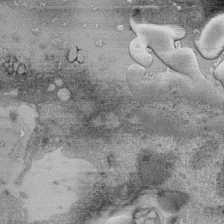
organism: Human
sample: Retinal organoid Rod and Cone cells